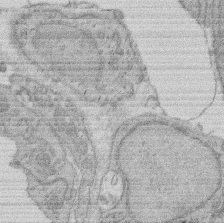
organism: Rat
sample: Salivary granule